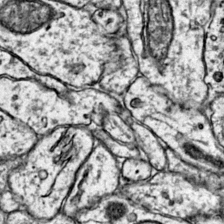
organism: Mouse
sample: Primary visual cortex